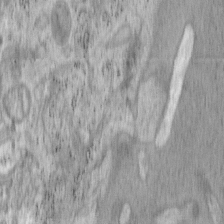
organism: Human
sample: HeLa cells